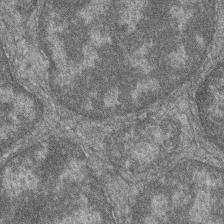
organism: Zebrafish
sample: Cilia; retinal pigment epithelium